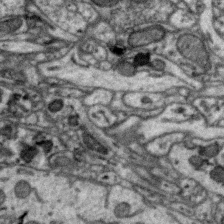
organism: Zebra finch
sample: Brain